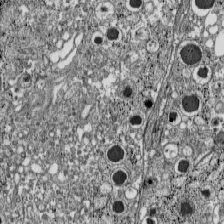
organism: C57BL Mouse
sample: Pancreatic islet